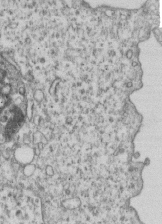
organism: Human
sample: MDA-MB-231 cells